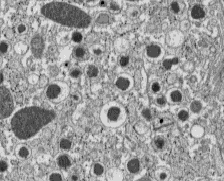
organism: C57BL Mouse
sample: Pancreatic islet